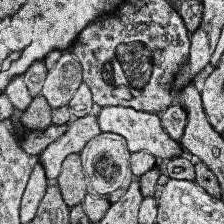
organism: Human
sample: Temporal Lobe